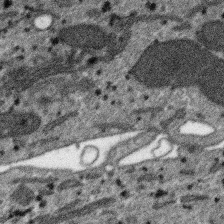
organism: Human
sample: Lung epithelial cells infected with SARS-CoV-2